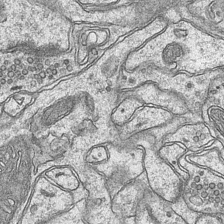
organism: Mouse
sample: CA1 Hippocampus